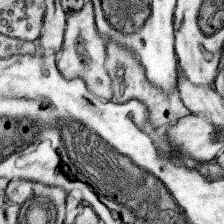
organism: Mouse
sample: Somatosensory cortex neuropil